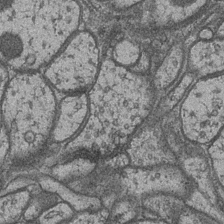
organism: Drosophila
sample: Optic medulla